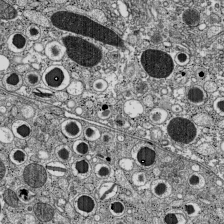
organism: C57BL Mouse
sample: Pancreatic islet